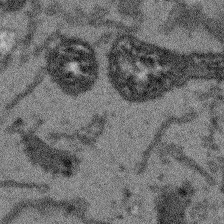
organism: Arabidopsis thaliana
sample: Root tip